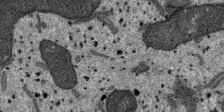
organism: Human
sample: Lung epithelial cells, uninfected (mock) control